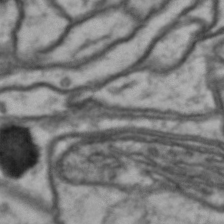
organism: Drosophila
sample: Brain